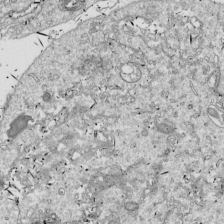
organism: Drosophila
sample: Cell division; meiosis; drosophila spermatocytes